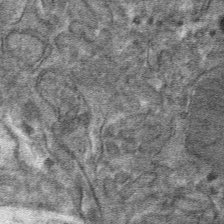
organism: Mouse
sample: Mouse hepatocytes